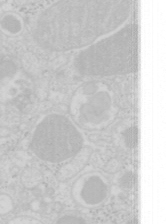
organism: Mouse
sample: Pancreas